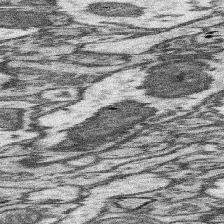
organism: Mouse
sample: Somatosensory cortex neuropil